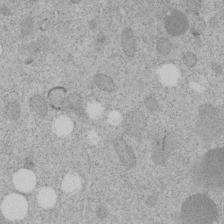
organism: C. elegans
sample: C. elegans embryo early stage